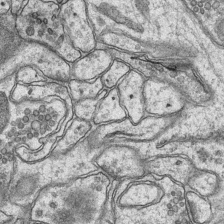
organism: Mouse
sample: CA1 Hippocampus